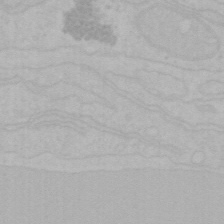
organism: Mouse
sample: Choroid plexus